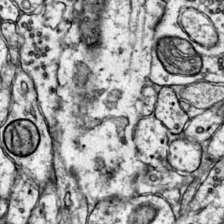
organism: Mouse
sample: Primary visual cortex